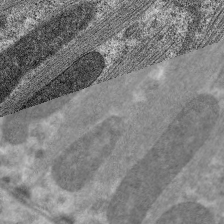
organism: C. elegans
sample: Pharynx